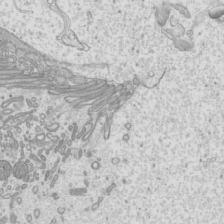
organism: Mouse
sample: Cilia; mouse epididymis